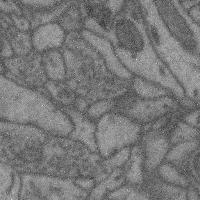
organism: Mouse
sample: Cerebral cortex